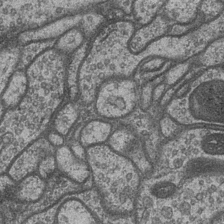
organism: Drosophila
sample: Optic medulla